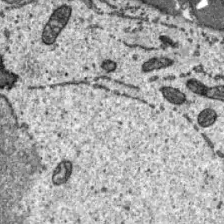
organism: Human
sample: HeLa cells